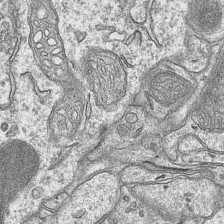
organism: Mouse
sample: CA1 Hippocampus